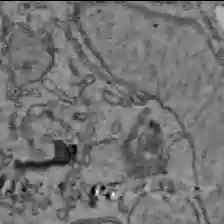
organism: C57BL Mouse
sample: Liver